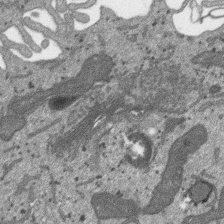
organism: Human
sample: Lung epithelial cells infected with SARS-CoV-2